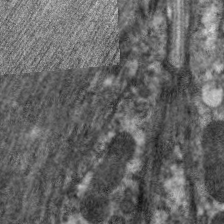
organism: C. elegans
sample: Pharynx